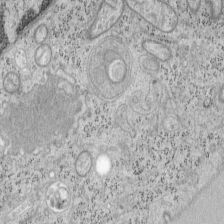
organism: Mouse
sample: OT-I killer T cells with ID8 ovarian cancer cells